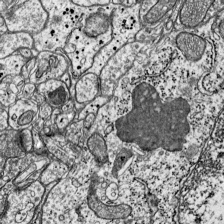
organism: Mouse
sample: Visual Cortex